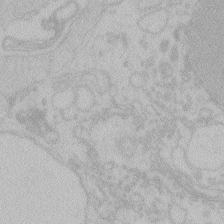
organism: Zebrafish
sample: Macrophage infected with Toxoplasma gondii